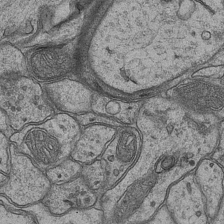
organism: Mouse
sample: CA1 Hippocampus